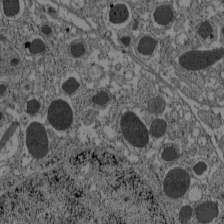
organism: C57BL Mouse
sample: Pancreatic islet